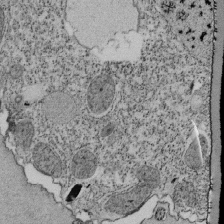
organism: Tetrahymena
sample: Cilia in tetrahymena